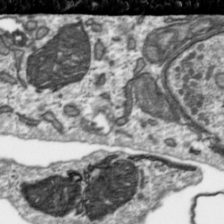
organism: Toxoplasma gondii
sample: Parasites in a vacuole inside a host cell